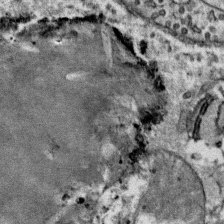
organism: Mouse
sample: Mouse Salivary gland